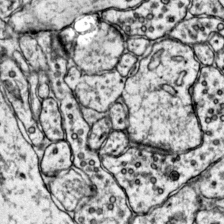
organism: Mouse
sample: Primary visual cortex